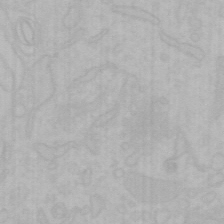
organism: Mouse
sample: Choroid plexus